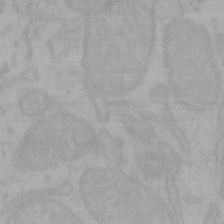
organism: Mouse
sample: Choroid plexus